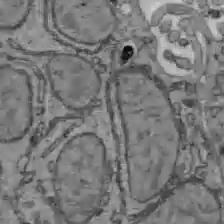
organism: C57BL Mouse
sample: Liver